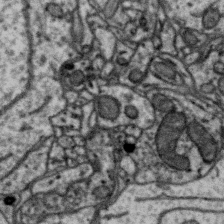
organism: Zebra finch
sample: Brain